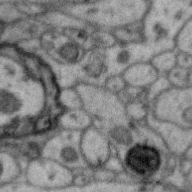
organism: Zebra finch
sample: Brain